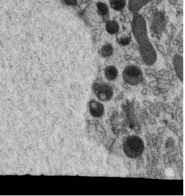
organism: C. elegans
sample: C. elegans oocyte; sperm cells